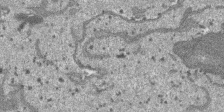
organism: Human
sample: Lung epithelial cells infected with SARS-CoV-2